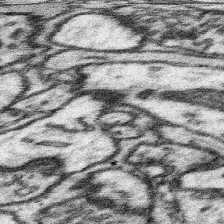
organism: Mouse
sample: Somatosensory cortex neuropil